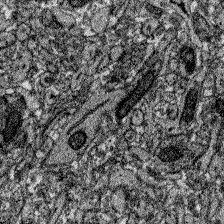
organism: Zebrafish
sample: Larval olfactory bulb